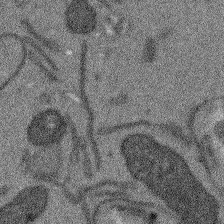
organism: Arabidopsis thaliana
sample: Root tip